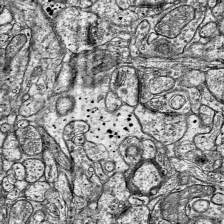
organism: Mouse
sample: Visual Cortex